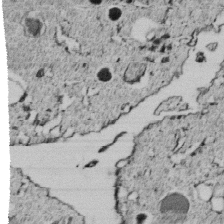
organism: C. elegans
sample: C. elegans embryo early stage